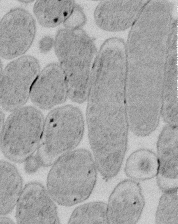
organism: E. coli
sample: Bacterial nucleoid